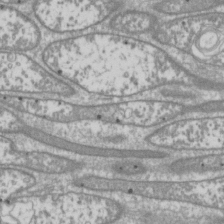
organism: Drosophila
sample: Cell division; meiosis; drosophila spermatocytes